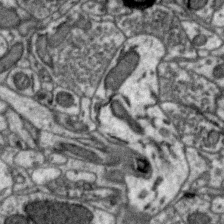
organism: Zebra finch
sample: Brain